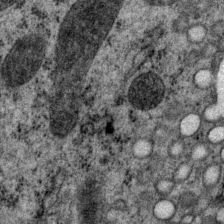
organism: P. pacificus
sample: Pharynx